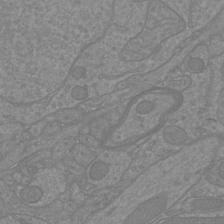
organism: Mouse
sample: Cortical neurons